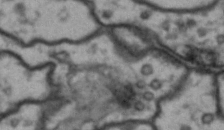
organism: Drosophila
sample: Brain